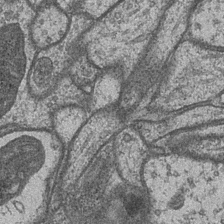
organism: Drosophila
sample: Optic medulla